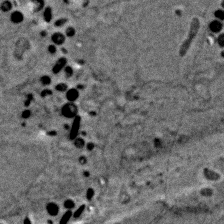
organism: Zebrafish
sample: Zebrafish embryo